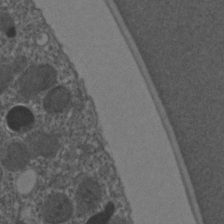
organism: C. elegans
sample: C. elegans embryo